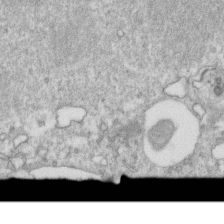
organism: Mouse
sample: Activated OT-1 CD8+ T cells